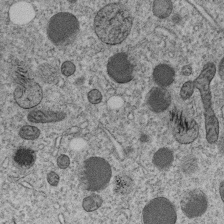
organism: C. elegans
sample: C. elegans embryo early stage